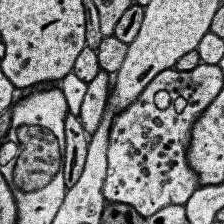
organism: Human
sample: Temporal Lobe